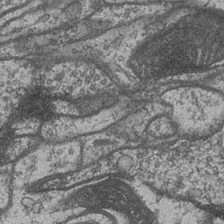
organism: Drosophila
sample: Optic medulla